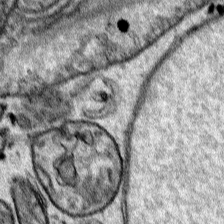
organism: Human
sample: Mitochondria in HCT116 cells